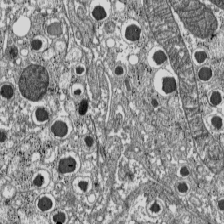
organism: C57BL Mouse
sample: Pancreatic islet